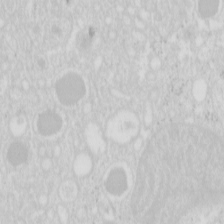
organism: Mouse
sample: Pancreas